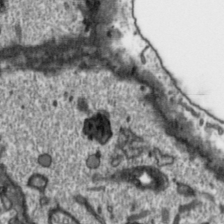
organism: Toxoplasma gondii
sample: Parasites in a vacuole inside a host cell